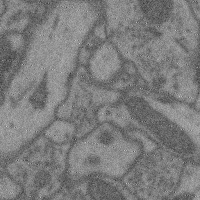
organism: Mouse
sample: Cerebral cortex